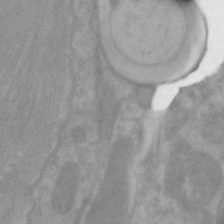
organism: C. elegans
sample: Pharynx